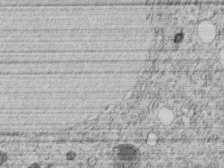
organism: C. elegans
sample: C. elegans embryo early stage